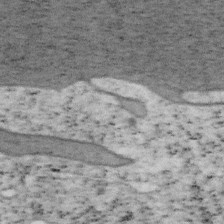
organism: Mouse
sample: OT-I killer T cells with ID8 ovarian cancer cells